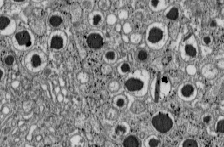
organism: C57BL Mouse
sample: Pancreatic islet